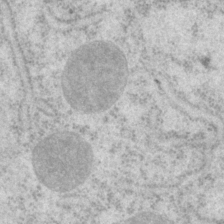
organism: P. pacificus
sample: Pharynx